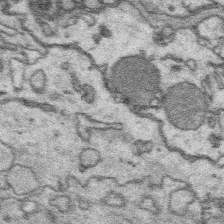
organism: Platynereis dumerilii